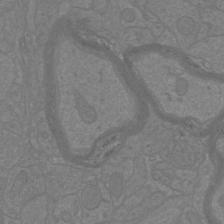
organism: Mouse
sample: Cortical neurons